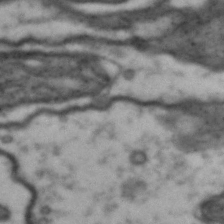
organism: Drosophila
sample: Brain